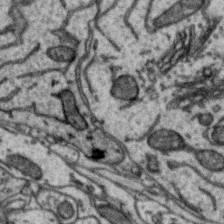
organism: Zebra finch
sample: Brain